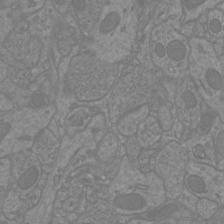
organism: Mouse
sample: Cortical neurons